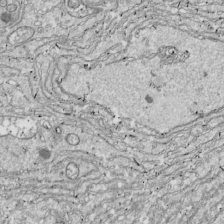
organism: Drosophila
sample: Cell division; meiosis; drosophila spermatocytes